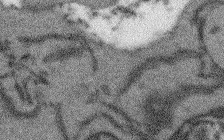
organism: Arabidopsis thaliana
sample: Root tip